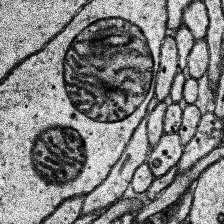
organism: Human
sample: Temporal Lobe